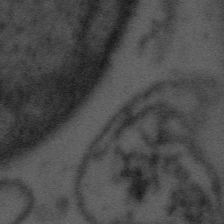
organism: Tuwongella immobilis